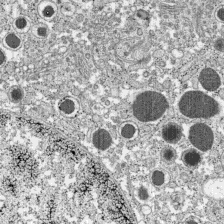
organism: C57BL Mouse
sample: Pancreatic islet